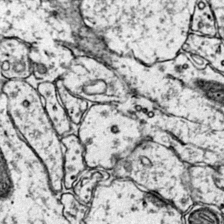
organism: Mouse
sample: Primary visual cortex